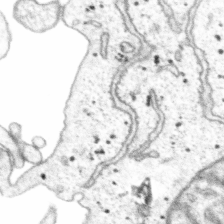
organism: Human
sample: HeLa cells